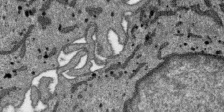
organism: Human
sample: Lung epithelial cells, uninfected (mock) control